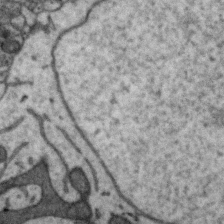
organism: Zebra finch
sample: Brain